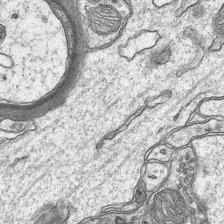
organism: Mouse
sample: CA1 Hippocampus